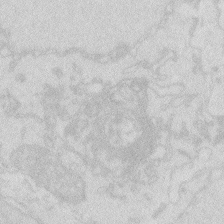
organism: Zebrafish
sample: Macrophage